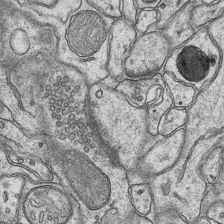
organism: Mouse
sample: CA1 Hippocampus